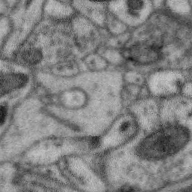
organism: Zebra finch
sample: Brain